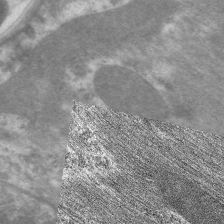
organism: C. elegans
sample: Pharynx